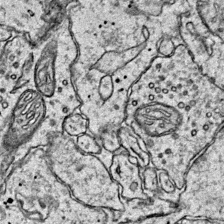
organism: Mouse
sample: Primary visual cortex